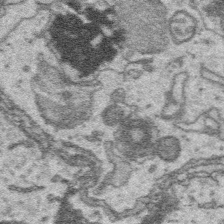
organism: Platynereis dumerilii